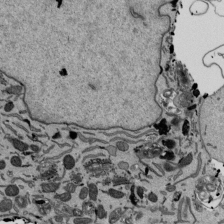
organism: Mouse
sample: ED-1 cell nuclei; centrioles